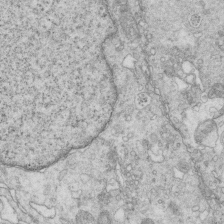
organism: Mouse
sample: Multiciliated cells